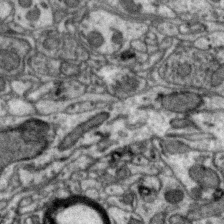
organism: Zebra finch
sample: Brain